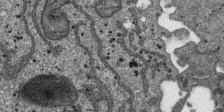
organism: Human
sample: Lung epithelial cells infected with SARS-CoV-2